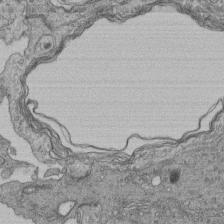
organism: Human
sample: Retinal organoid Rod and Cone cells